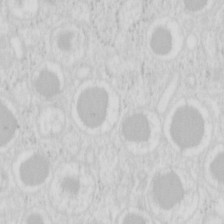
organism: Mouse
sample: Pancreas